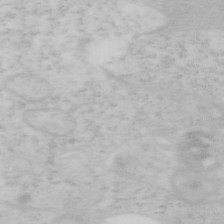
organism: Mouse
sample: OT-I killer T cells with ID8 ovarian cancer cells